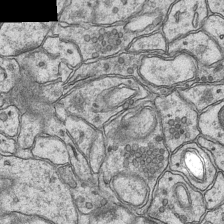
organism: Mouse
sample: CA1 Hippocampus